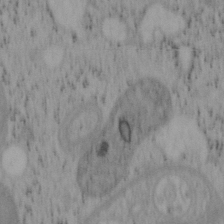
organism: Mouse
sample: OT-I killer T cells with ID8 ovarian cancer cells